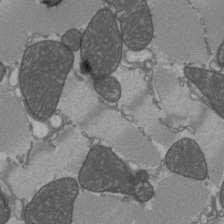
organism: C57BL Mouse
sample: Heart